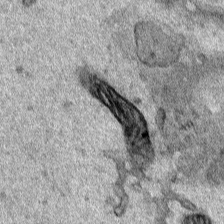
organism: Human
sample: Mitochondria in HCT116 cells